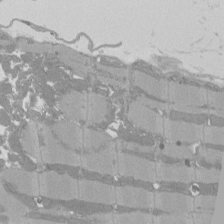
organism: Rat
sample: Left ventricle